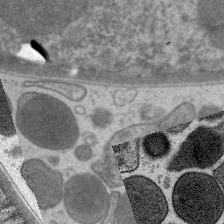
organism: C. elegans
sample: Pharynx